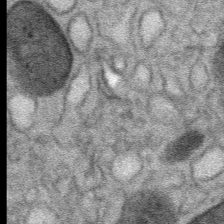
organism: Mouse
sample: Mouse Salivary gland